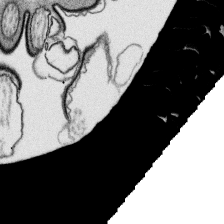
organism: Platynereis dumerilii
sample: Parapodia